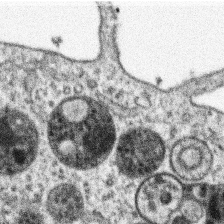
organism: Human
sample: HeLa cells